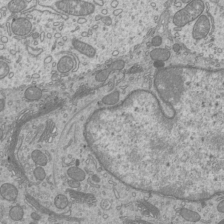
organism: Mouse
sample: Cilia; mouse epididymis